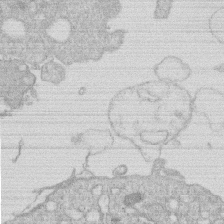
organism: Human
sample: Macrophage cells